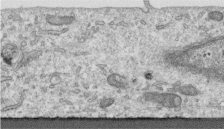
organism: Human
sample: Centriole in RPE cells